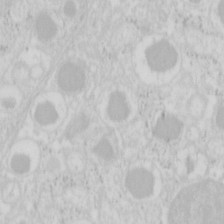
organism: Mouse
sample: Pancreas